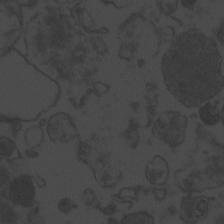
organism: Zebrafish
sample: Macrophage infected with Toxoplasma gondii